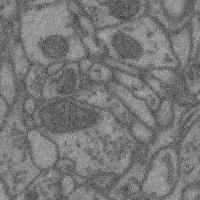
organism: Mouse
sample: Cerebral cortex